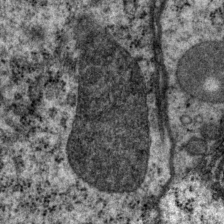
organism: P. pacificus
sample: Pharynx